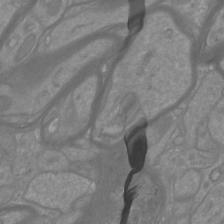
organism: Mouse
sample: Cortical neurons